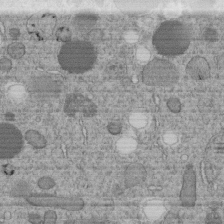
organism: C. elegans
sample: C. elegans embryo early stage